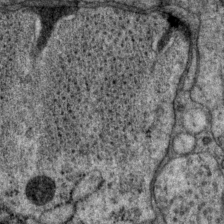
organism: P. pacificus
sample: Pharynx